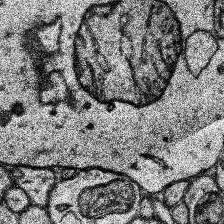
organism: Human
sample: Temporal Lobe